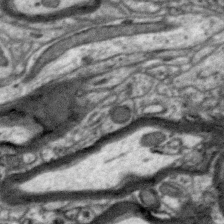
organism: Zebra finch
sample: Brain